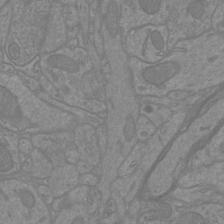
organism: Mouse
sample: Cortical neurons